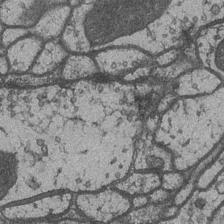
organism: Drosophila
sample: Optic medulla